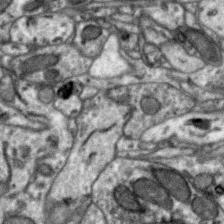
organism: Zebra finch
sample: Brain